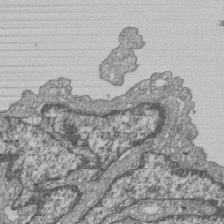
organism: Human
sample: MDA-MB-231 cells